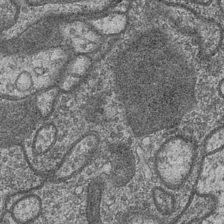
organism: Drosophila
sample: Optic medulla